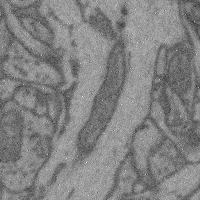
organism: Mouse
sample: Cerebral cortex